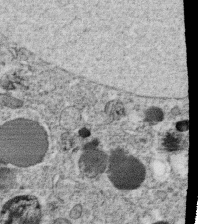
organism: C. elegans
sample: C. elegans oocyte; sperm cells